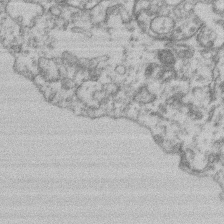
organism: Mouse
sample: T cell stromal cell synapse